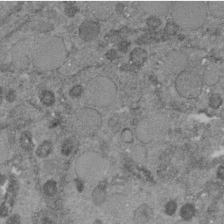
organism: C. elegans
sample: C. elegans embryo early stage